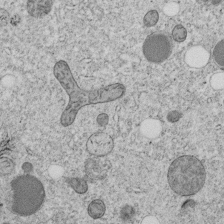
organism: C. elegans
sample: C. elegans embryo early stage